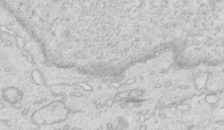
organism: Mouse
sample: Multiciliated cells